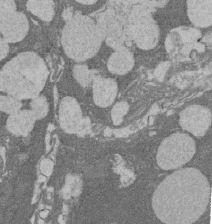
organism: Rat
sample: Salivary granule